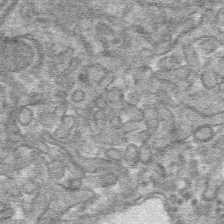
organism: Mouse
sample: Mouse hepatocytes